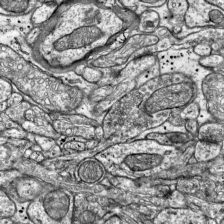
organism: Mouse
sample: Visual Cortex